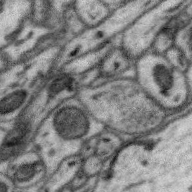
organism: Zebra finch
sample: Brain